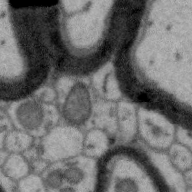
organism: Zebra finch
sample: Brain